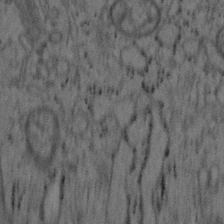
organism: Human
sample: HeLa cells